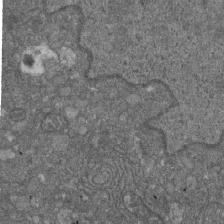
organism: Drosophila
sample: Nephrocyte